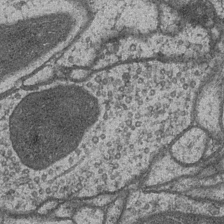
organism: Drosophila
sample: Optic medulla